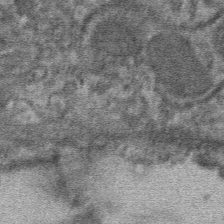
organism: Mouse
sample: Mouse hepatocytes